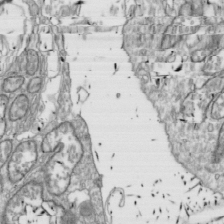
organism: Drosophila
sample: Cell division; meiosis; drosophila spermatocytes